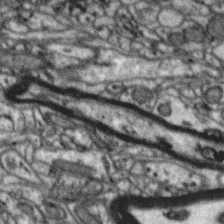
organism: Zebra finch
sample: Brain